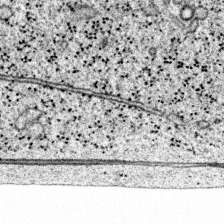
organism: Human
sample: HeLa cells